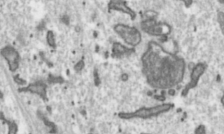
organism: Toxoplasma gondii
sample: Parasites in a vacuole inside a host cell